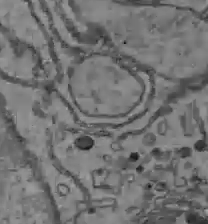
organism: C57BL Mouse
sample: Liver